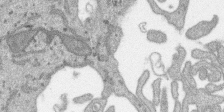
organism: Human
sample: Lung epithelial cells infected with SARS-CoV-2